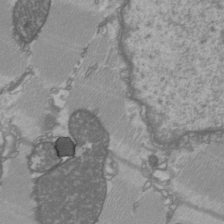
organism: C57BL Mouse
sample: Heart